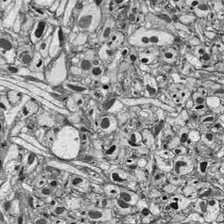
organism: Drosophila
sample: Optic lobe